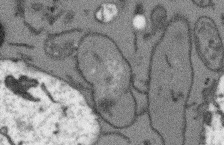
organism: Arabidopsis thaliana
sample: Root tip